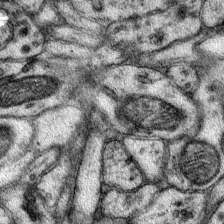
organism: Mouse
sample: Primary visual cortex